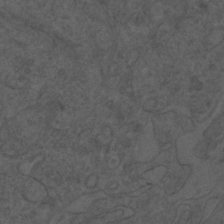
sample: Trachea